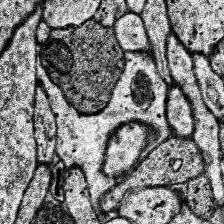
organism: Human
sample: Temporal Lobe